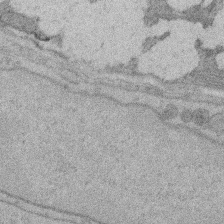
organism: Rat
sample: Salivary granule